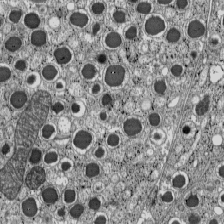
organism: C57BL Mouse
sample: Pancreatic islet